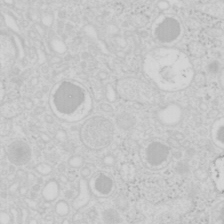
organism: Mouse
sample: Pancreas